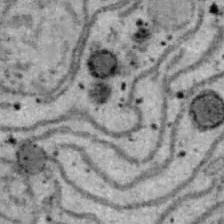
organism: Mouse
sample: Liver from an obese (ob/ob) mouse